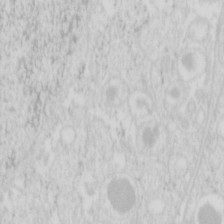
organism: Mouse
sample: Pancreas